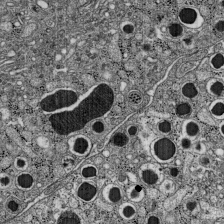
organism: C57BL Mouse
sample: Pancreatic islet